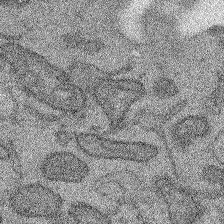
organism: Human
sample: HeLa cells